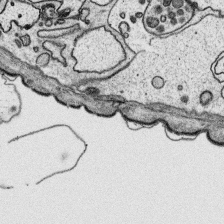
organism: Platynereis dumerilii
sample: Parapodia